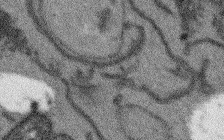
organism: Arabidopsis thaliana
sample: Root tip